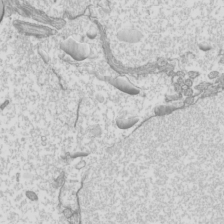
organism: Mouse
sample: Cilia; mouse epididymis